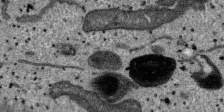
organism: Human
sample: Lung epithelial cells, uninfected (mock) control